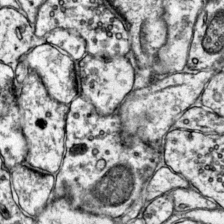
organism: Mouse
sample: Primary visual cortex